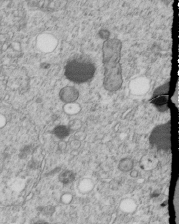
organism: C. elegans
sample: C. elegans embryo early stage